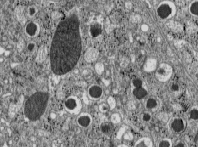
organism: C57BL Mouse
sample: Pancreatic islet